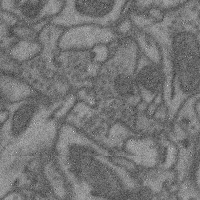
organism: Mouse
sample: Cerebral cortex